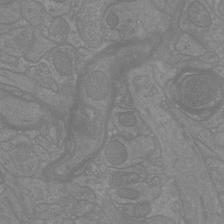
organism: Mouse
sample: Cortical neurons